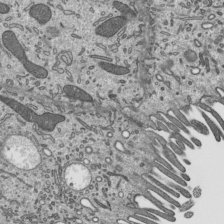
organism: Mouse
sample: Mouse epididymis efferent ductule cilia